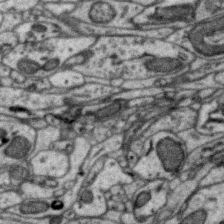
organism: Zebra finch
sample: Brain